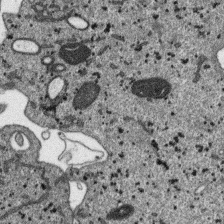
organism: Human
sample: Lung epithelial cells infected with SARS-CoV-2